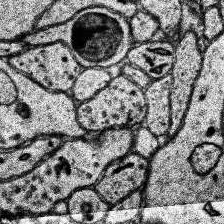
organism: Human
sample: Temporal Lobe